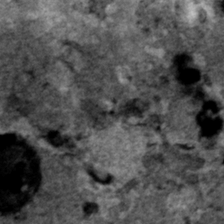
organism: Human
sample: Mitochondria in HCT116 cells